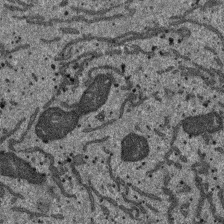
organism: Human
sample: Lung epithelial cells infected with SARS-CoV-2